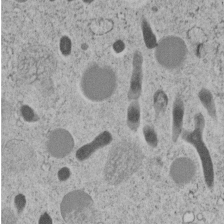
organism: C. elegans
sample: C. elegans embryo early stage